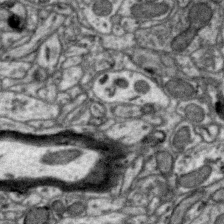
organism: Zebra finch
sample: Brain